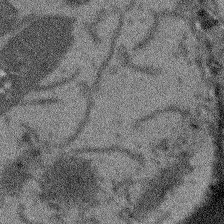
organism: Arabidopsis thaliana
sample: Root tip